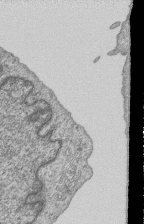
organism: Human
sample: MDA-MB-231 cells